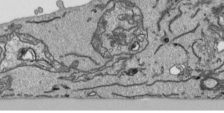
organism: Human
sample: Mitochondria in HCT116 cells